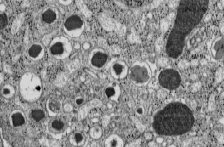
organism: C57BL Mouse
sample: Pancreatic islet